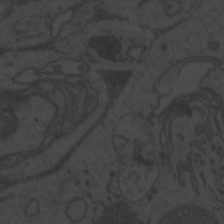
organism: Zebrafish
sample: Macrophage infected with Toxoplasma gondii